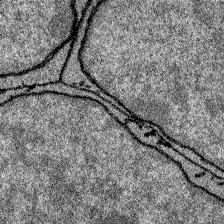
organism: Zebrafish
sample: Larval olfactory bulb